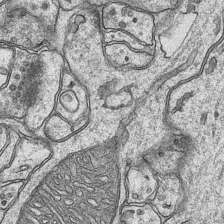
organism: Mouse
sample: CA1 Hippocampus